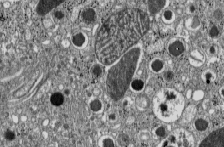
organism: C57BL Mouse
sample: Pancreatic islet